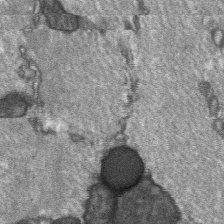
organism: C57BL Mouse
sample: Soleus